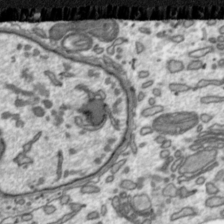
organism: Toxoplasma gondii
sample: Parasites in a vacuole inside a host cell